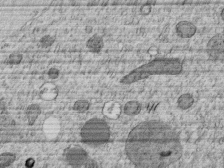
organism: C. elegans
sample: C. elegans embryo early stage